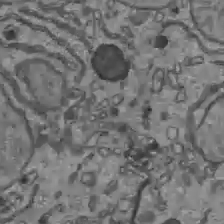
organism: C57BL Mouse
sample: Liver